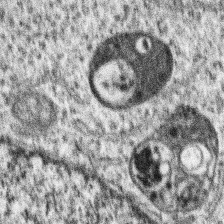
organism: Human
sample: HeLa cells